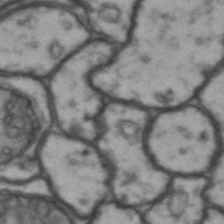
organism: Drosophila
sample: Brain